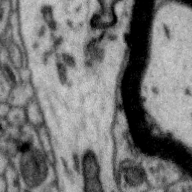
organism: Zebra finch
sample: Brain